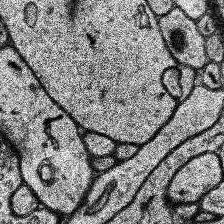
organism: Human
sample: Temporal Lobe